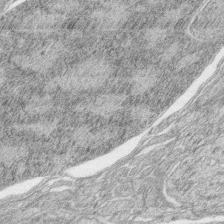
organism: Zebrafish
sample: synaptic ribbons in rod cells and cone cells